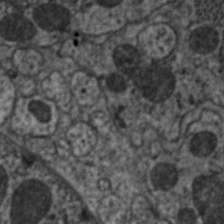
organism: C. elegans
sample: Pharynx